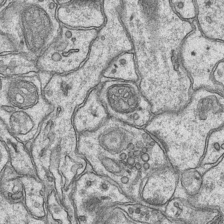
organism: Mouse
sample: CA1 Hippocampus